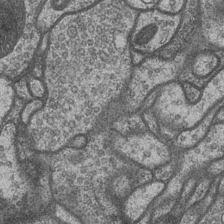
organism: Drosophila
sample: Optic medulla